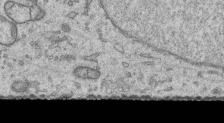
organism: Human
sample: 1205lu cells